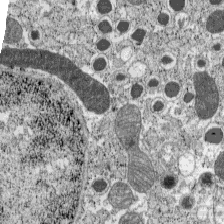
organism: C57BL Mouse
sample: Pancreatic islet